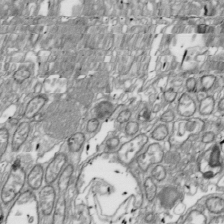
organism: Drosophila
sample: Cell division; meiosis; drosophila spermatocytes